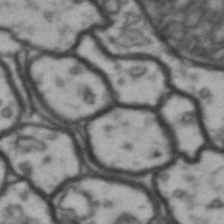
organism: Drosophila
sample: Brain